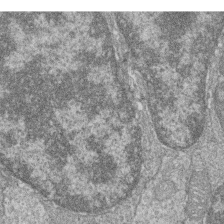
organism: Zebrafish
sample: Cilia; retinal pigment epithelium